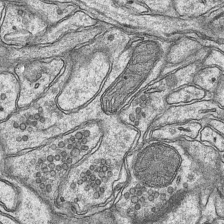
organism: Mouse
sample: CA1 Hippocampus